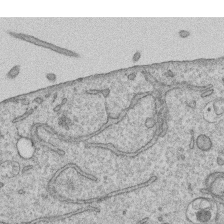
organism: Human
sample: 1205lu cells